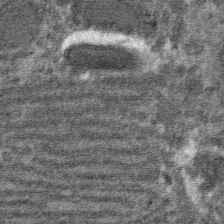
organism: Mouse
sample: Mouse hepatocytes